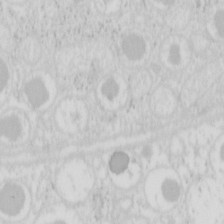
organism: Mouse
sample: Pancreas